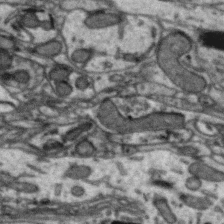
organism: Zebra finch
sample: Brain